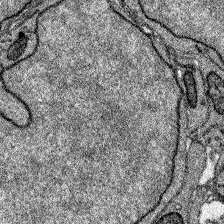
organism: Zebrafish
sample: Larval olfactory bulb